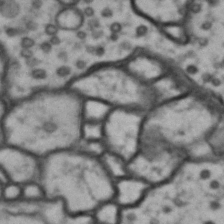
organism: Drosophila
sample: Brain